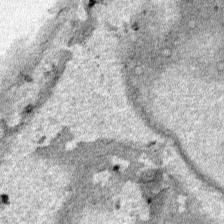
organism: Human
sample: Mitochondria in HCT116 cells